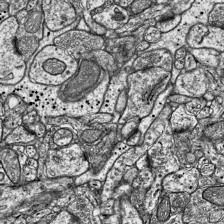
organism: Mouse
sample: Visual Cortex